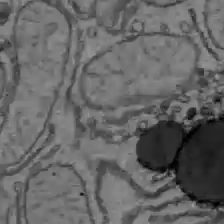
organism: C57BL Mouse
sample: Liver